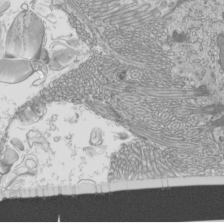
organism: Mouse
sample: Cilia; mouse epididymis